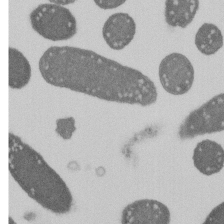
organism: E. coli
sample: Bacterial nucleoid